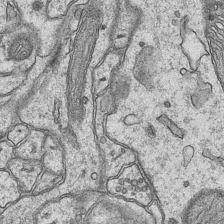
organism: Mouse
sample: CA1 Hippocampus